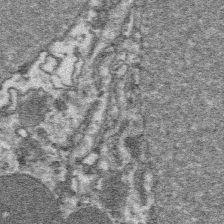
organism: Platynereis dumerilii